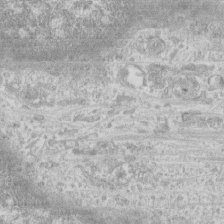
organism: Human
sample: CRL-1474